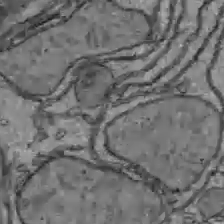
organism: C57BL Mouse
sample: Liver